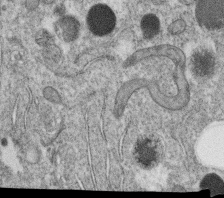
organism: C. elegans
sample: C. elegans oocyte; sperm cells